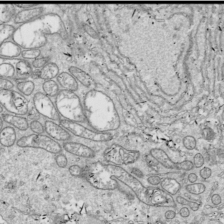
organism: Drosophila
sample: Cell division; meiosis; drosophila spermatocytes